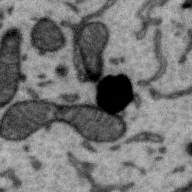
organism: Zebra finch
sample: Brain